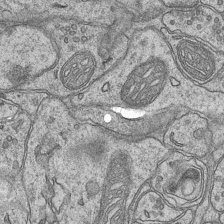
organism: Mouse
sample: CA1 Hippocampus